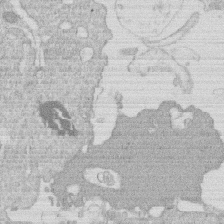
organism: Human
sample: Macrophage cells